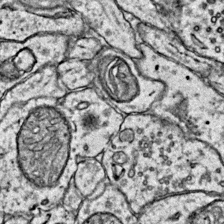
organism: Mouse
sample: Primary visual cortex